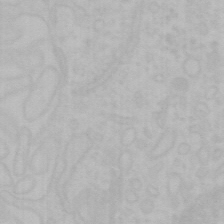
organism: Mouse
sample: Choroid plexus